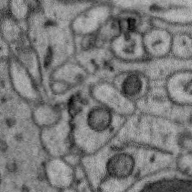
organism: Zebra finch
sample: Brain